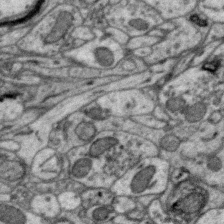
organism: Zebra finch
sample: Brain